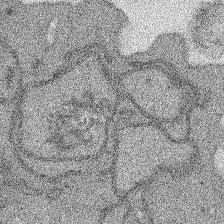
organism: Human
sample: HeLa cells